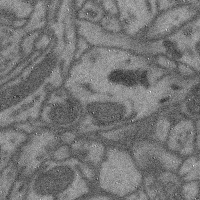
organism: Mouse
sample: Cerebral cortex